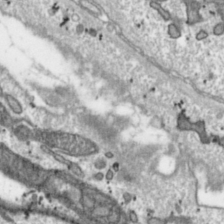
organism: Toxoplasma gondii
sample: Parasites in a vacuole inside a host cell